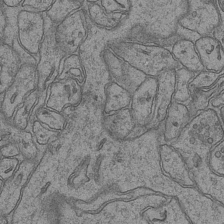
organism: Mouse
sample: CA1 Hippocampus